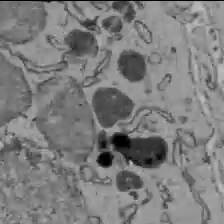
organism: C57BL Mouse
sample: Liver